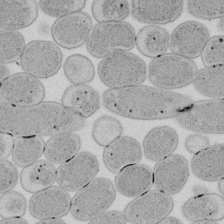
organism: E. coli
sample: Bacterial nucleoid